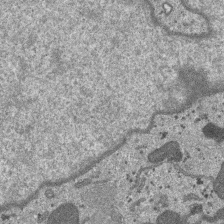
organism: Human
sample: Lung epithelial cells infected with SARS-CoV-2